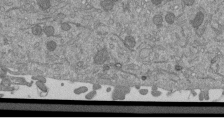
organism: Mouse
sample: ED-1 cell nuclei; centrioles